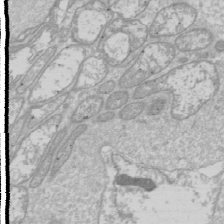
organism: Drosophila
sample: Cell division; meiosis; drosophila spermatocytes